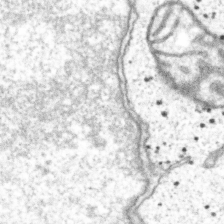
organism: Human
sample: HeLa cells